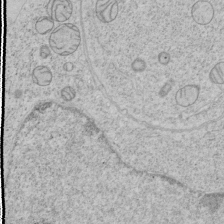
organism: Human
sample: Mitochondria in HCT116 cells